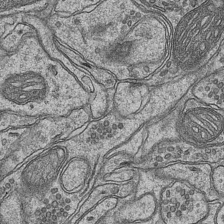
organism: Mouse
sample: CA1 Hippocampus